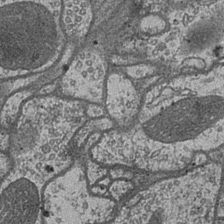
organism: Drosophila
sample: Optic medulla